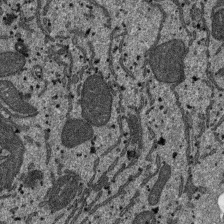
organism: Human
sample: Lung epithelial cells infected with SARS-CoV-2